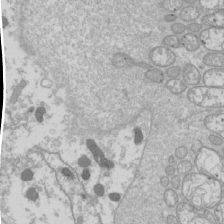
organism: Drosophila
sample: Cell division; meiosis; drosophila spermatocytes